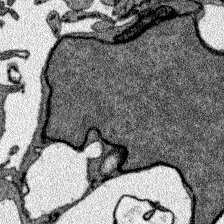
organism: Zebrafish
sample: Larval olfactory bulb